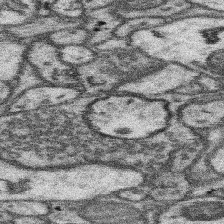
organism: Mouse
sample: Somatosensory cortex neuropil